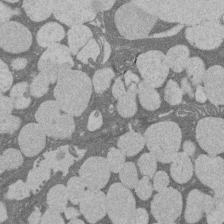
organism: Rat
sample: Salivary granule